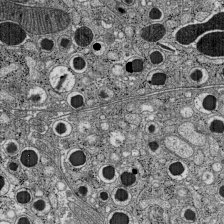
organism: C57BL Mouse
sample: Pancreatic islet